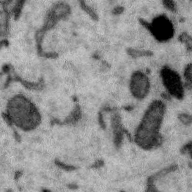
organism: Zebra finch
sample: Brain